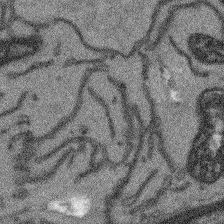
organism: Arabidopsis thaliana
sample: Root tip